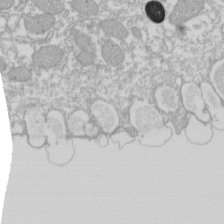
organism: Xenopus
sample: Cilia; centrioles in frog embryo cells